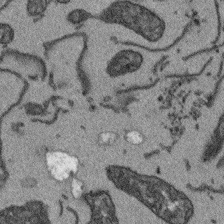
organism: Arabidopsis thaliana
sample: Root tip